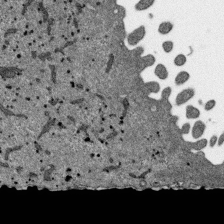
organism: Human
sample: Lung epithelial cells, uninfected (mock) control